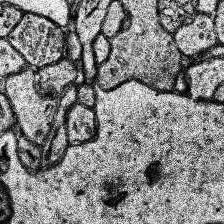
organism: Human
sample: Temporal Lobe